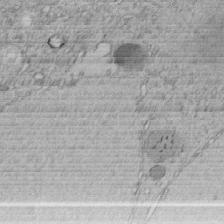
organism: C. elegans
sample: C. elegans embryo early stage